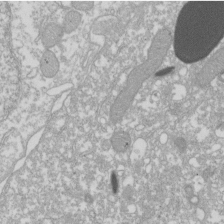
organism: Xenopus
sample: Cilia; centrioles in frog embryo cells